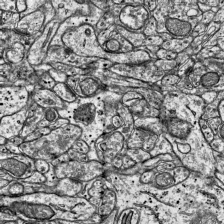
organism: Mouse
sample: Visual Cortex